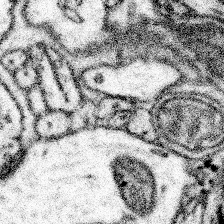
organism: Mouse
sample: Somatosensory cortex neuropil